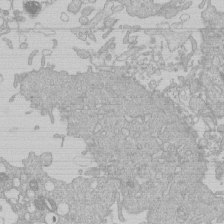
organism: Human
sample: Macrophage cells